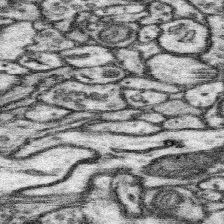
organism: Mouse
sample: Somatosensory cortex neuropil